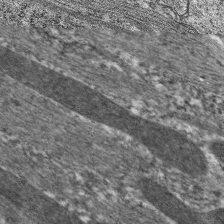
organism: C. elegans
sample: Pharynx